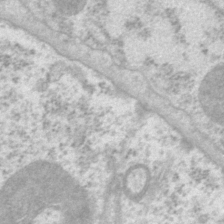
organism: P. pacificus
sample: Pharynx